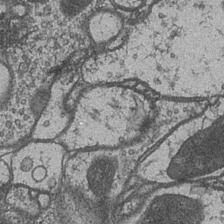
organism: Drosophila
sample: Optic medulla